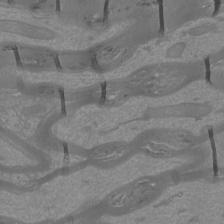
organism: Mouse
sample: Cortical neurons